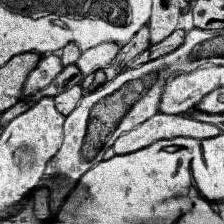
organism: Human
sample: Temporal Lobe